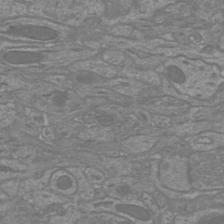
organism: Mouse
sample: Cortical neurons